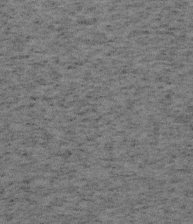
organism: Mouse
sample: OT-I killer T cells with ID8 ovarian cancer cells